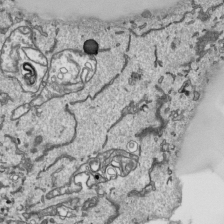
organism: Human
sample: Mitochondria in HCT116 cells